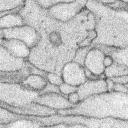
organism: Rabbit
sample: Retina